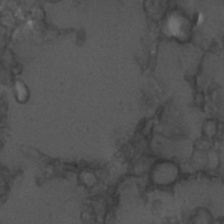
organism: C. elegans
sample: C. elegans embryo